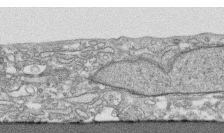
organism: Human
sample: CRL-1474